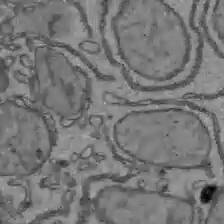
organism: C57BL Mouse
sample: Liver